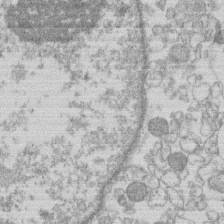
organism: Human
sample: Macrophage cells